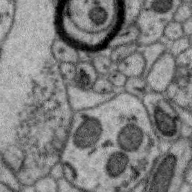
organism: Zebra finch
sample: Brain